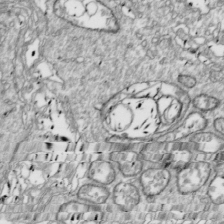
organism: Drosophila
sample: Cell division; meiosis; drosophila spermatocytes